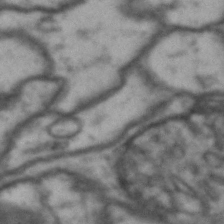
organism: Drosophila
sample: Brain